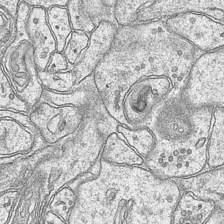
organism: Mouse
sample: CA1 Hippocampus